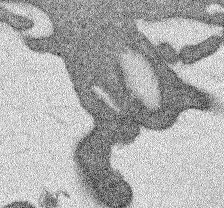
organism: Human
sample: HeLa cells